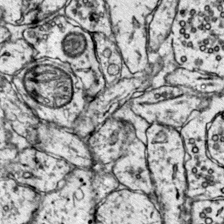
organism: Mouse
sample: Primary visual cortex